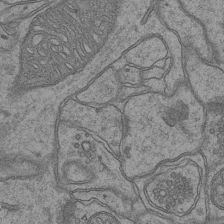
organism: Mouse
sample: CA1 Hippocampus